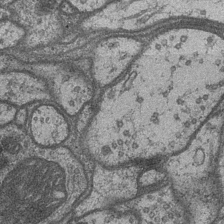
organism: Drosophila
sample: Optic medulla